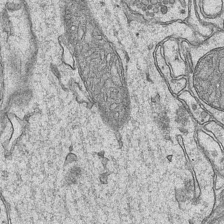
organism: Mouse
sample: CA1 Hippocampus